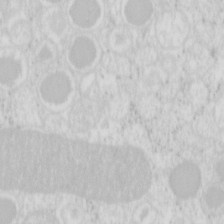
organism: Mouse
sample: Pancreas